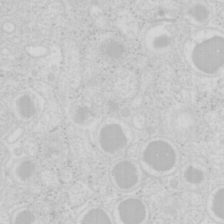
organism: Mouse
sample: Pancreas